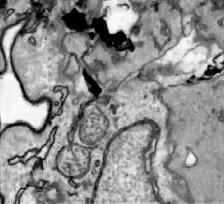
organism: Zebrafish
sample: Actinotrichia fibers